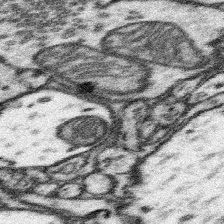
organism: Mouse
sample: Somatosensory cortex neuropil